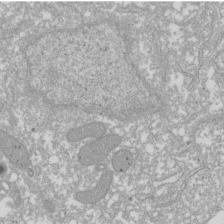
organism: Xenopus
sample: Cilia; centrioles in frog embryo cells